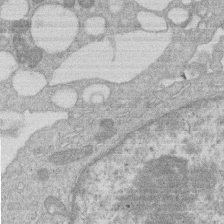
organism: Human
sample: Macrophage cells